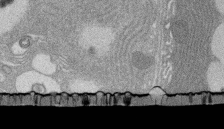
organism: Rat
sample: Salivary granule